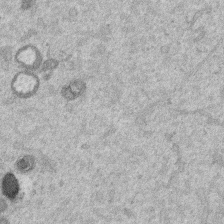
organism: Mouse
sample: Dividing mouse embryo 1 cell stage